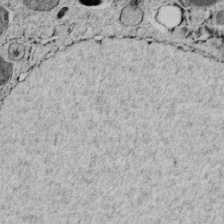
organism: C. elegans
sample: C. elegans embryo early stage